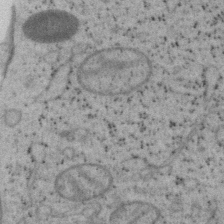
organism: Human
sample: HeLa cells